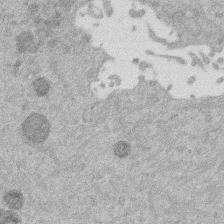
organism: Mouse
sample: Dividing mouse embryo 1 cell stage